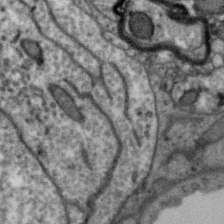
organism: Zebra finch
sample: Brain